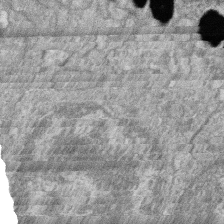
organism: Zebrafish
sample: Cilia; retinal pigment epithelium